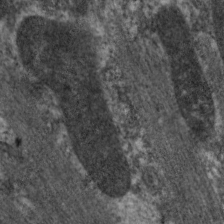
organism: C. elegans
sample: Pharynx